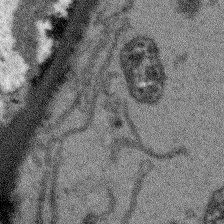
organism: Arabidopsis thaliana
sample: Root tip